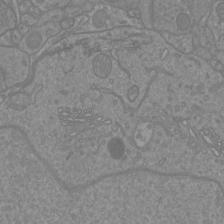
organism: Mouse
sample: Cortical neurons